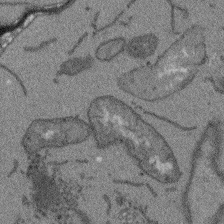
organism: Arabidopsis thaliana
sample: Root tip